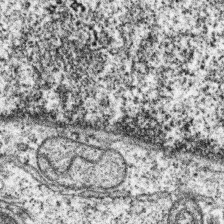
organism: Human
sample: HeLa cells